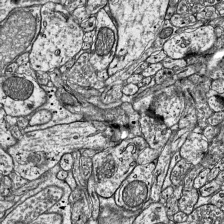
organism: Mouse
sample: Visual Cortex